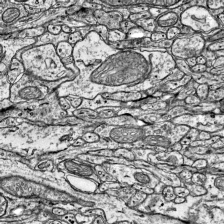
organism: Mouse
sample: Visual Cortex